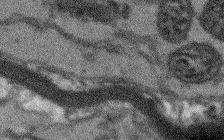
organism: Arabidopsis thaliana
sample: Root tip